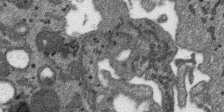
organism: Human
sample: Lung epithelial cells infected with SARS-CoV-2